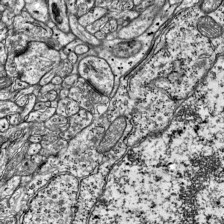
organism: Mouse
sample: Visual Cortex